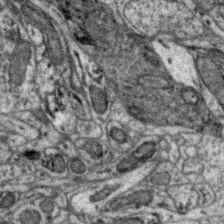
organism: Zebra finch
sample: Brain